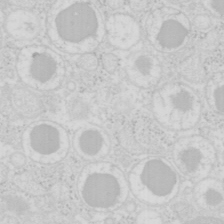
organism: Mouse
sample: Pancreas